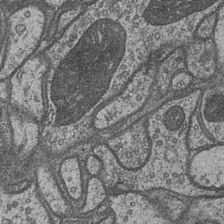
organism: Drosophila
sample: Optic medulla